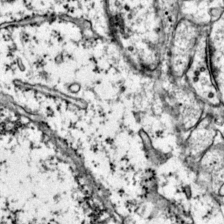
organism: Mouse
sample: Primary visual cortex